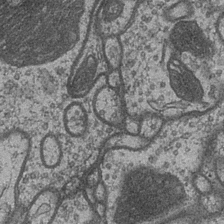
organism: Drosophila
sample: Optic medulla